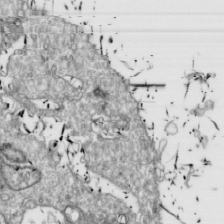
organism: Drosophila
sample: Cell division; meiosis; drosophila spermatocytes